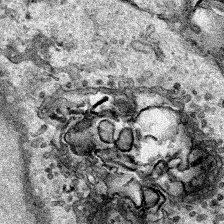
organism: Human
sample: Mitochondria in HCT116 cells